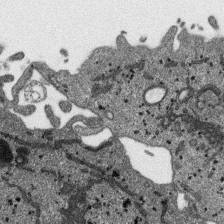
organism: Human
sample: Lung epithelial cells infected with SARS-CoV-2